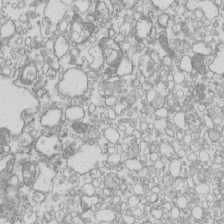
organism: Mouse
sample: Macrophages